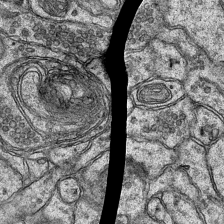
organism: Mouse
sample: CA1 Hippocampus